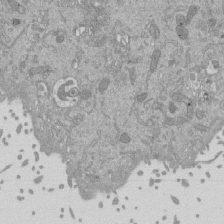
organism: Mouse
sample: ED-1 cell nuclei; centrioles